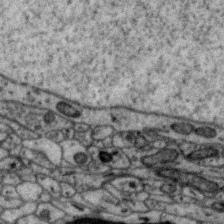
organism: Zebra finch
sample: Brain